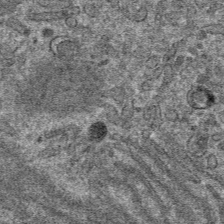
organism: Mouse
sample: Mouse hepatocytes